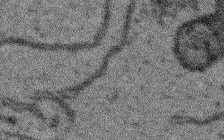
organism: Arabidopsis thaliana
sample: Root tip